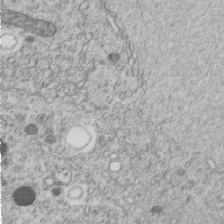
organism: C. elegans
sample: C. elegans embryo early stage